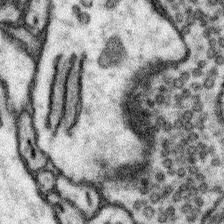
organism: Mouse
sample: Somatosensory cortex neuropil